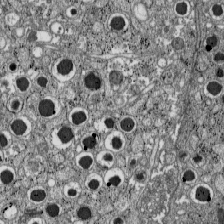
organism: C57BL Mouse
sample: Pancreatic islet